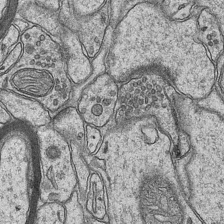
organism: Mouse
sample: CA1 Hippocampus